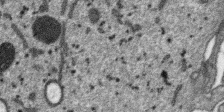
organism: Human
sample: Lung epithelial cells infected with SARS-CoV-2